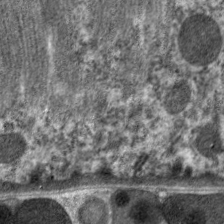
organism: C. elegans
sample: Pharynx